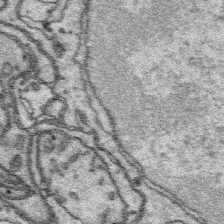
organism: Platynereis dumerilii